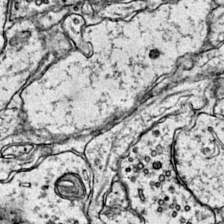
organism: Mouse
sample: Primary visual cortex